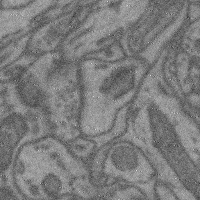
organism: Mouse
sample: Cerebral cortex